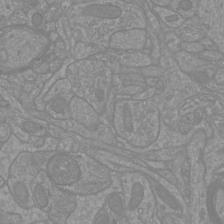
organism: Mouse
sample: Cortical neurons